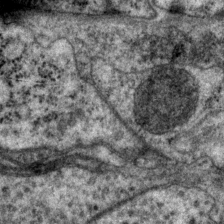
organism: P. pacificus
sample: Pharynx